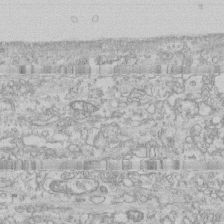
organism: Human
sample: CRL-1474